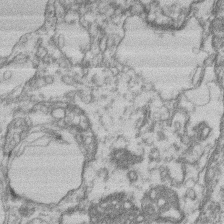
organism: Mouse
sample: T cell stromal cell synapse